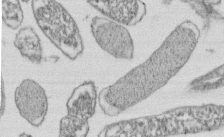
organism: E. coli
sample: Bacterial nucleoid